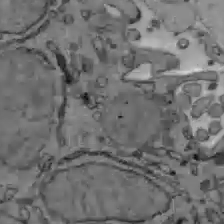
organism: C57BL Mouse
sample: Liver